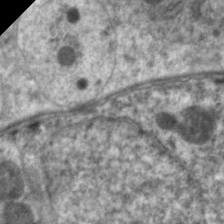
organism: C. elegans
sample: Pharynx